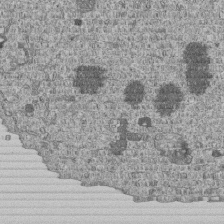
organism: Human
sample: MDA-MB-231 cells